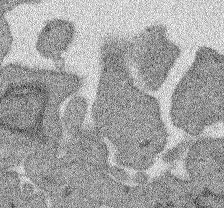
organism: Human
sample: HeLa cells